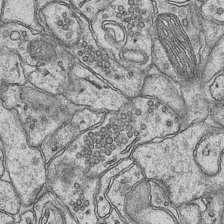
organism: Mouse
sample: CA1 Hippocampus